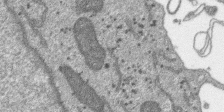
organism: Human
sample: Lung epithelial cells infected with SARS-CoV-2